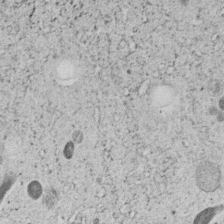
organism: C. elegans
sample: C. elegans embryo early stage